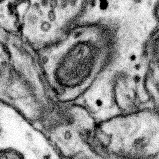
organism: Mouse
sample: Somatosensory cortex neuropil